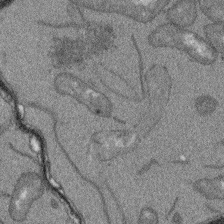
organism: Arabidopsis thaliana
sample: Root tip